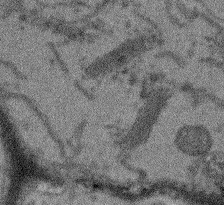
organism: Arabidopsis thaliana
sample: Root tip